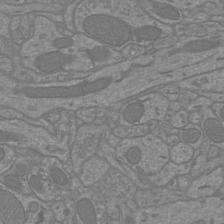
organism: Mouse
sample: Cortical neurons